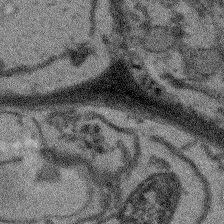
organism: Arabidopsis thaliana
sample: Root tip